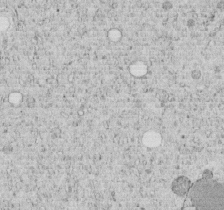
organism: C. elegans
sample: C. elegans embryo early stage